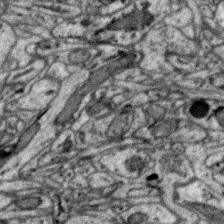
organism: Zebra finch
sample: Brain